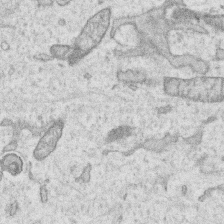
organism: Human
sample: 1205lu cells